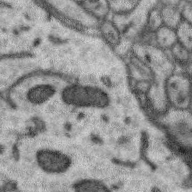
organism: Zebra finch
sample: Brain